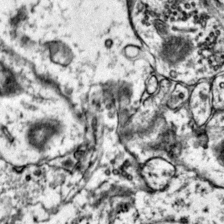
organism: Mouse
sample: Primary visual cortex